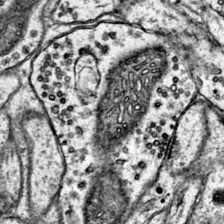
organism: Mouse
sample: Primary visual cortex